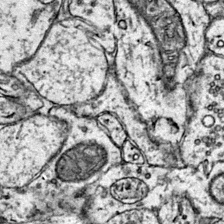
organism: Mouse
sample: Primary visual cortex